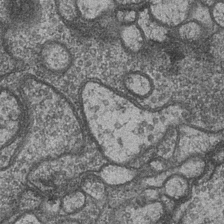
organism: Drosophila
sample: Optic medulla